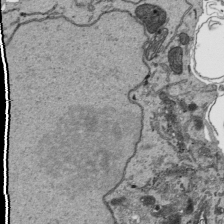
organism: Human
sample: Mitochondria in HCT116 cells